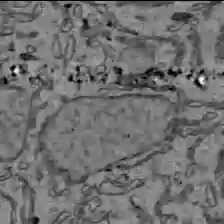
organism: C57BL Mouse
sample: Liver